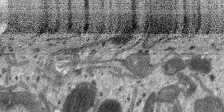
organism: Human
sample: Lung epithelial cells infected with SARS-CoV-2